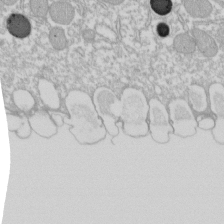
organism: Xenopus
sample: Cilia; centrioles in frog embryo cells